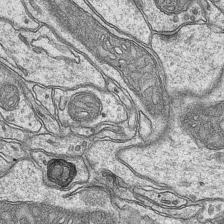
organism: Mouse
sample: CA1 Hippocampus